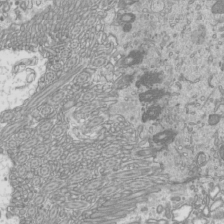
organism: Mouse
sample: Cilia; mouse epididymis